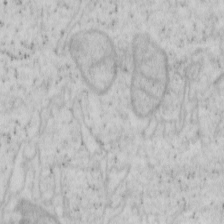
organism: Human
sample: HeLa cells